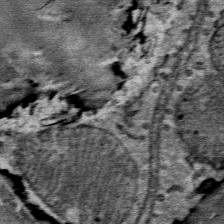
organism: Mouse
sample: Mouse Salivary gland